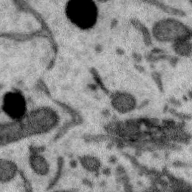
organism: Zebra finch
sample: Brain